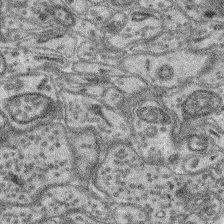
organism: Mouse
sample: Retina